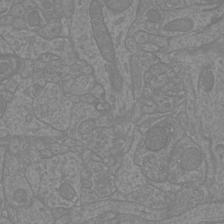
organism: Mouse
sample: Cortical neurons